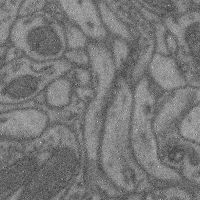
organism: Mouse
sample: Cerebral cortex